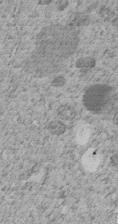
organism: C. elegans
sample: C. elegans embryo early stage